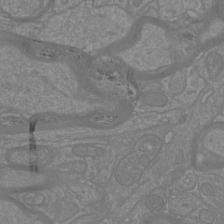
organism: Mouse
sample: Cortical neurons